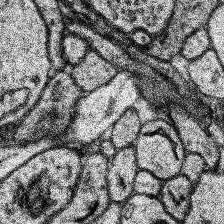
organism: Human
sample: Temporal Lobe